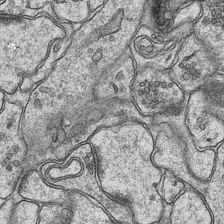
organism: Mouse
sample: CA1 Hippocampus